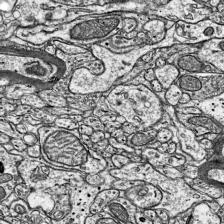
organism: Mouse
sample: Visual Cortex